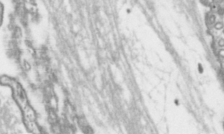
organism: Toxoplasma gondii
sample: Parasites in a vacuole inside a host cell